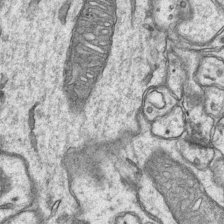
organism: Mouse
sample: CA1 Hippocampus